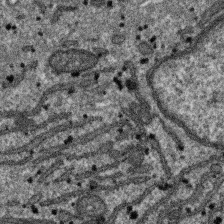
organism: Human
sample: Lung epithelial cells infected with SARS-CoV-2